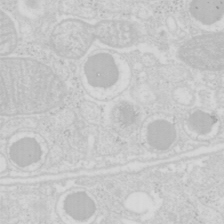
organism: Mouse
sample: Pancreas